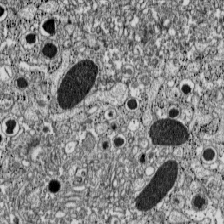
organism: C57BL Mouse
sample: Pancreatic islet